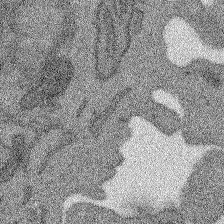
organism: Human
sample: HeLa cells